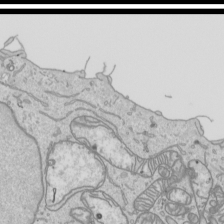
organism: Human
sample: Mitochondria in HCT116 cells